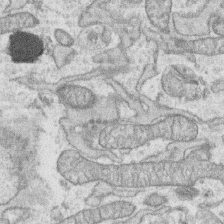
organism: Human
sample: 1205lu cells